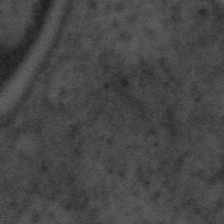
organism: Tuwongella immobilis